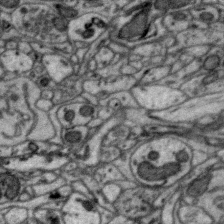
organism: Zebra finch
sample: Brain